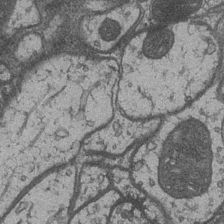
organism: Drosophila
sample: Optic medulla